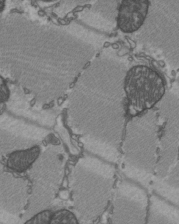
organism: C57BL Mouse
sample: Heart